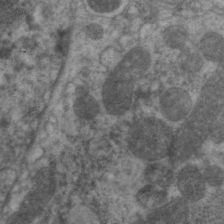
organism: C. elegans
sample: Pharynx